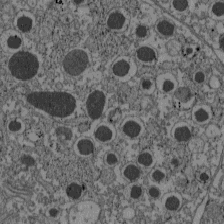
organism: C57BL Mouse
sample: Pancreatic islet